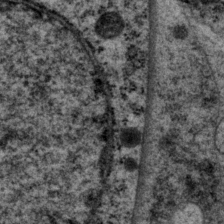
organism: P. pacificus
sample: Pharynx